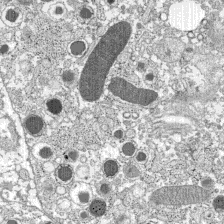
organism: C57BL Mouse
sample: Pancreatic islet